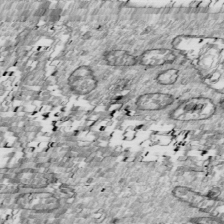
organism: Drosophila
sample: Cell division; meiosis; drosophila spermatocytes